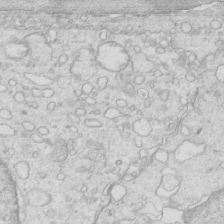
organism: Mouse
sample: Multiciliated cells